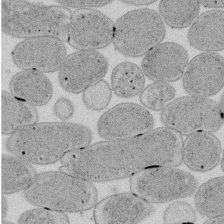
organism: E. coli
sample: Bacterial nucleoid